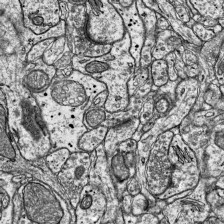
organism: Mouse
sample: Visual Cortex